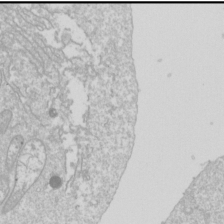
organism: Drosophila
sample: Cell division; meiosis; drosophila spermatocytes